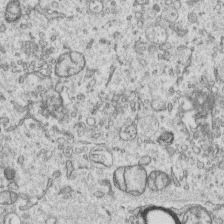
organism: Human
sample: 1205lu cells